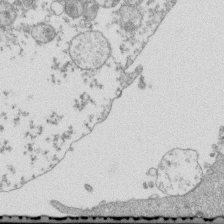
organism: Human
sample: HeLa cell HIV synapse